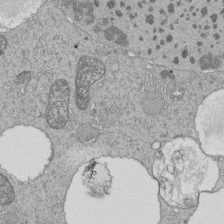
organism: Tetrahymena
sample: Cilia in tetrahymena